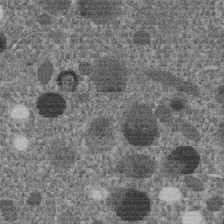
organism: C. elegans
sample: C. elegans embryo early stage